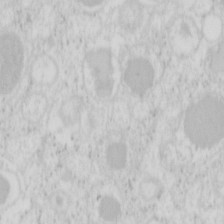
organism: Mouse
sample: Pancreas